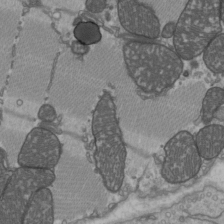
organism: C57BL Mouse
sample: Heart